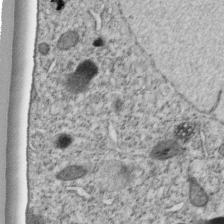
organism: C. elegans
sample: C. elegans embryo early stage